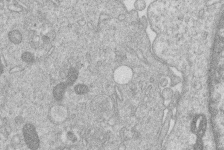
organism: Human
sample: Macrophage cells